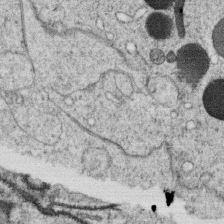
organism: C. elegans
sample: C. elegans oocyte; sperm cells